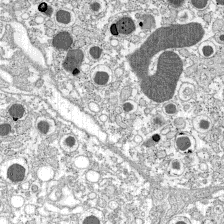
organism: C57BL Mouse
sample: Pancreatic islet